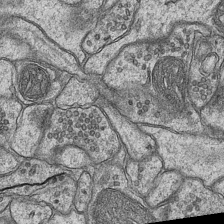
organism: Mouse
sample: CA1 Hippocampus